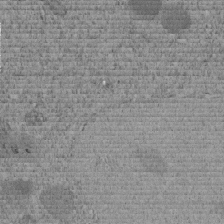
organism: C. elegans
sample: C. elegans embryo early stage